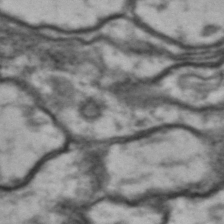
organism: Drosophila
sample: Brain